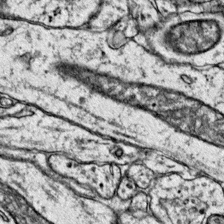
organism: Mouse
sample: Primary visual cortex